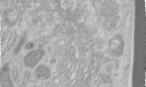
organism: Human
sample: Centriole in RPE cells